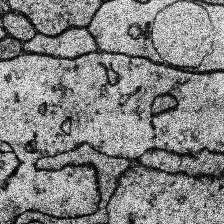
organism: Human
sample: Temporal Lobe